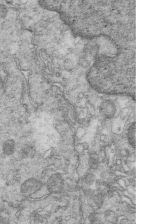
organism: Mouse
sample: Multiciliated cells